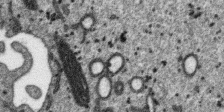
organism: Human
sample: Lung epithelial cells infected with SARS-CoV-2